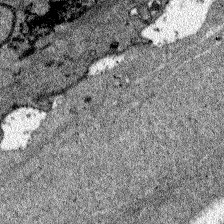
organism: Zebrafish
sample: Larval olfactory bulb